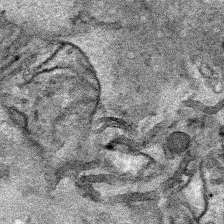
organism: Human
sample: Mitochondria in HCT116 cells